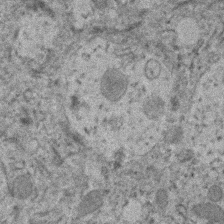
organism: Human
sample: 1205lu cells